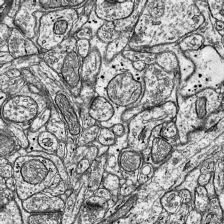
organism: Mouse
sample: Visual Cortex